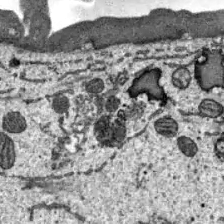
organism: Human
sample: HeLa cells